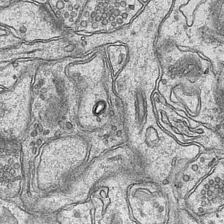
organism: Mouse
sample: CA1 Hippocampus